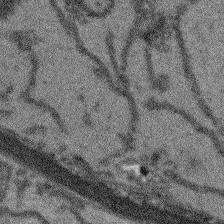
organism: Arabidopsis thaliana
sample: Root tip